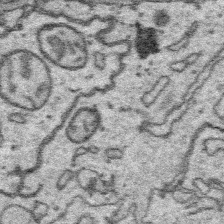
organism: Platynereis dumerilii